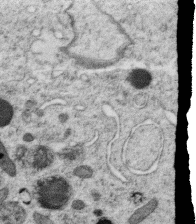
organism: C. elegans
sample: C. elegans oocyte; sperm cells